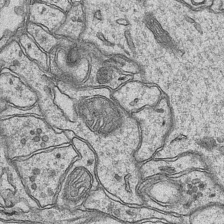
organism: Mouse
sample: CA1 Hippocampus